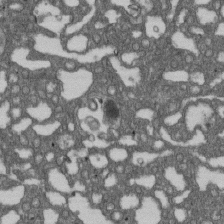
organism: Drosophila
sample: Nephrocyte